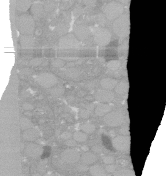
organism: C. elegans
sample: C. elegans oocyte; sperm cells